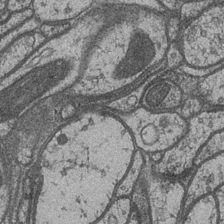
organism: Drosophila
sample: Optic medulla